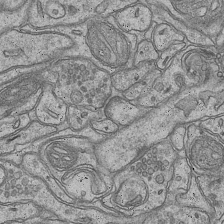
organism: Mouse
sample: CA1 Hippocampus